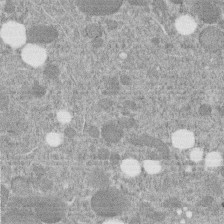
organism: C. elegans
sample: C. elegans embryo early stage